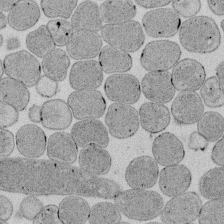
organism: E. coli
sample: Bacterial nucleoid